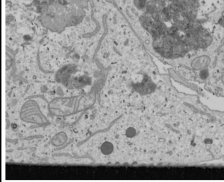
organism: Human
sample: Mitochondria in U2OS cells